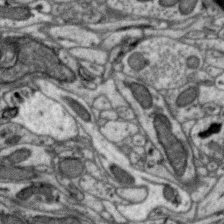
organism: Zebra finch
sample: Brain